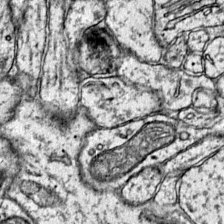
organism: Mouse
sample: Primary visual cortex